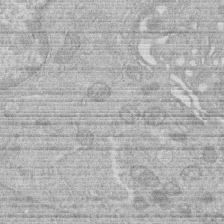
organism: Human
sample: Macrophage cells